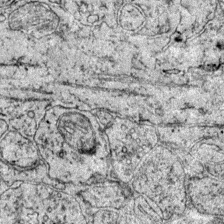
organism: Mouse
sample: Primary visual cortex